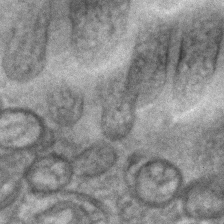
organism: C. elegans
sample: C. elegans embryo